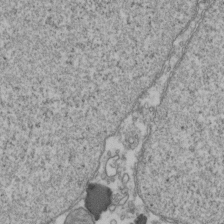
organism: Human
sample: Activated Jurkat CD4+ T cells